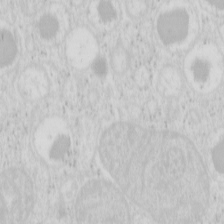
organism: Mouse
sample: Pancreas